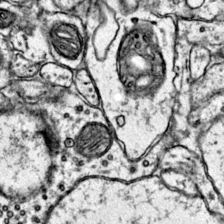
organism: Mouse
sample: Primary visual cortex